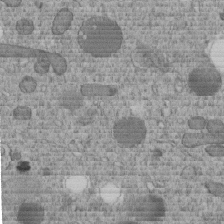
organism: C. elegans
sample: C. elegans embryo early stage